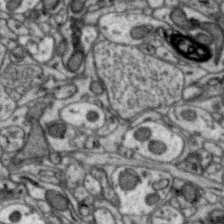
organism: Zebra finch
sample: Brain